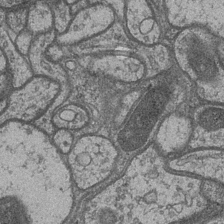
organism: Drosophila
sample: Optic medulla